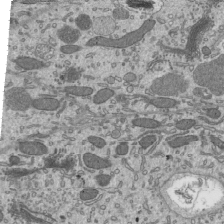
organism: Mouse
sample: Mouse epididymis efferent ductule cilia